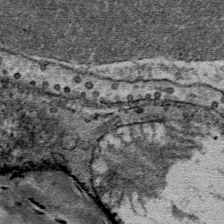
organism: Mouse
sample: Mouse Salivary gland